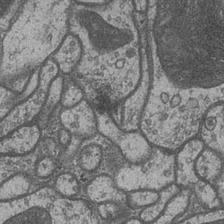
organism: Drosophila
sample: Optic medulla